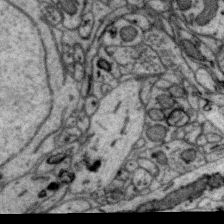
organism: Zebra finch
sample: Brain